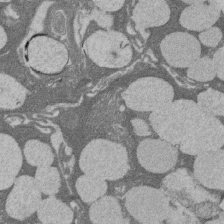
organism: Rat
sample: Salivary granule